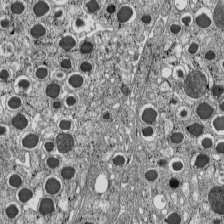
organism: C57BL Mouse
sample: Pancreatic islet